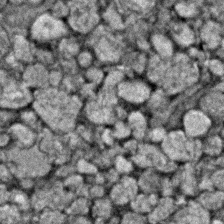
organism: Zebrafish